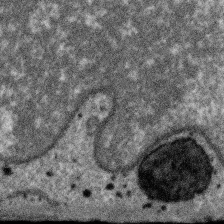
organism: Human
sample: Lung epithelial cells infected with SARS-CoV-2